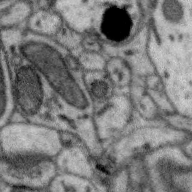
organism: Zebra finch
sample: Brain